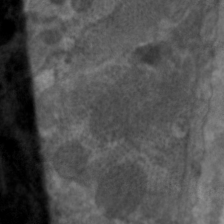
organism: C. elegans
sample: Pharynx